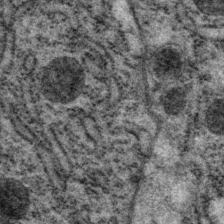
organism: P. pacificus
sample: Pharynx